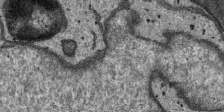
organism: Human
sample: Lung epithelial cells, uninfected (mock) control